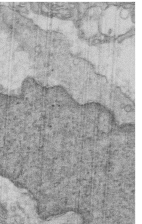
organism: Mouse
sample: Multiciliated cells